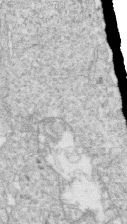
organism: Human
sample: HeLa cell HIV synapse